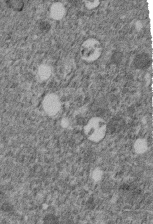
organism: C. elegans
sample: C. elegans embryo early stage